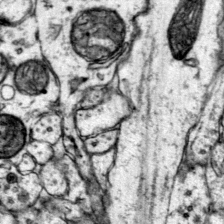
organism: Mouse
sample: Primary visual cortex